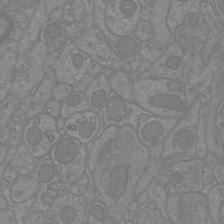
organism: Mouse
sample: Cortical neurons